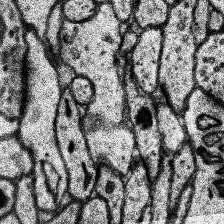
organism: Human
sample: Temporal Lobe